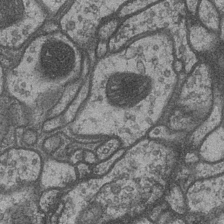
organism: Drosophila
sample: Optic medulla